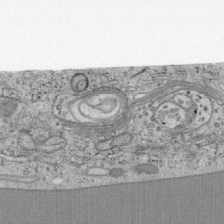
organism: Human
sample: HeLa cells